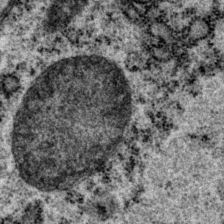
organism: P. pacificus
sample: Pharynx